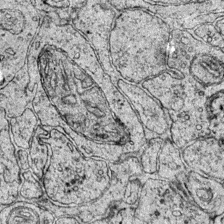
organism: Mouse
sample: Primary visual cortex